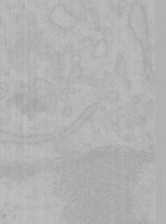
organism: Mouse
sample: Choroid plexus